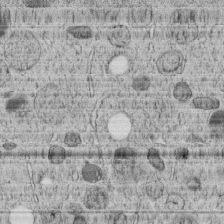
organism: C. elegans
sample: C. elegans embryo early stage